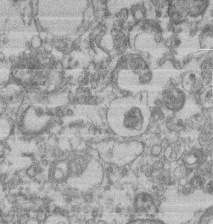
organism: Mouse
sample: T cell stromal cell synapse